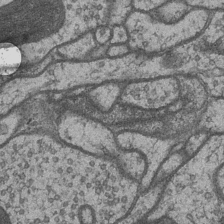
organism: Drosophila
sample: Optic medulla